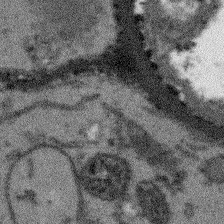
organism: Arabidopsis thaliana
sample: Root tip